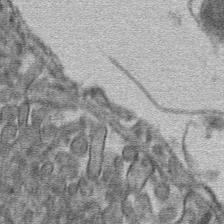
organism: Mouse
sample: Mouse hepatocytes